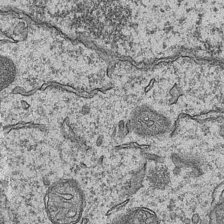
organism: Mouse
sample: CA1 Hippocampus